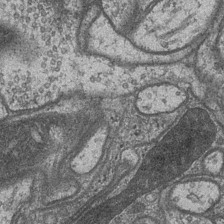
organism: Drosophila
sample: Optic medulla